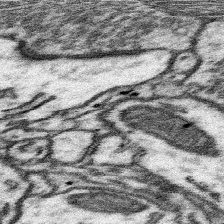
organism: Mouse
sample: Somatosensory cortex neuropil